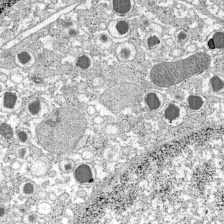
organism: C57BL Mouse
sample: Pancreatic islet